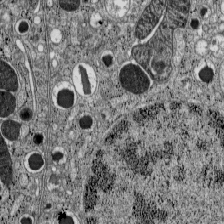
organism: C57BL Mouse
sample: Pancreatic islet